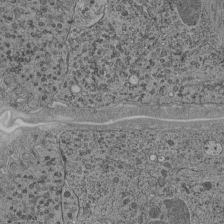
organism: C. elegans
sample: C. elegans pharynx